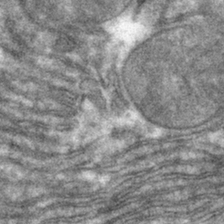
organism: Mouse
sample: Mouse hepatocytes